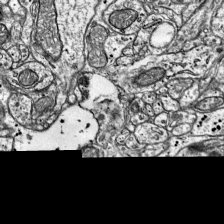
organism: Mouse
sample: Visual Cortex